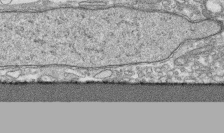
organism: Human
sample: CRL-1474